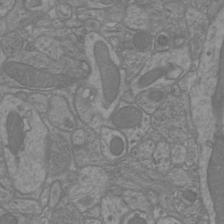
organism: Mouse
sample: Cortical neurons